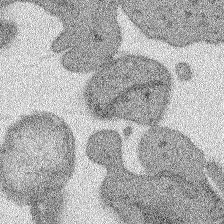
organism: Human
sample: HeLa cells